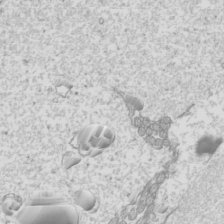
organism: Mouse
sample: Cilia; mouse epididymis